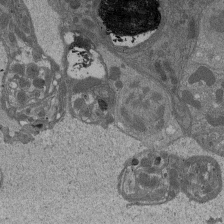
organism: Drosophila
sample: Antenna